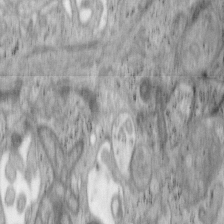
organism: Human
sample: HeLa cells